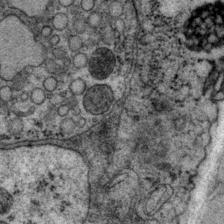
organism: P. pacificus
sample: Pharynx